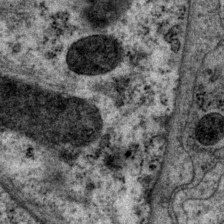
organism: P. pacificus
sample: Pharynx